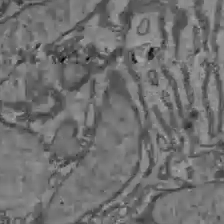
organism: C57BL Mouse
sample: Liver